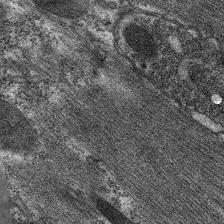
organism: C. elegans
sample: Pharynx